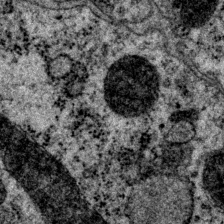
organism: P. pacificus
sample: Pharynx